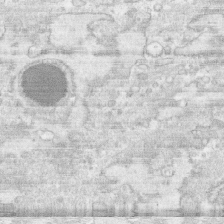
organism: Human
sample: CRL-1474